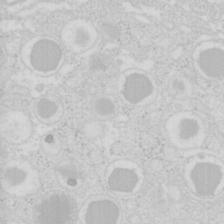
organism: Mouse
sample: Pancreas